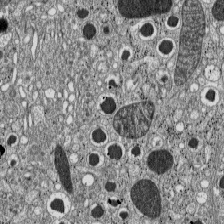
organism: C57BL Mouse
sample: Pancreatic islet